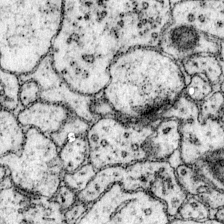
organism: Mouse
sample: Primary visual cortex